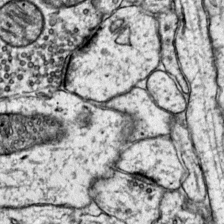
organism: Mouse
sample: Primary visual cortex